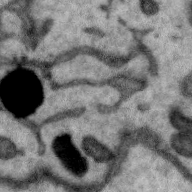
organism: Zebra finch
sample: Brain